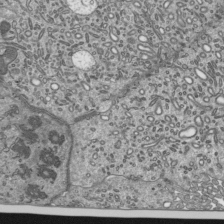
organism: Mouse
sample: Mouse epididymis efferent ductule cilia